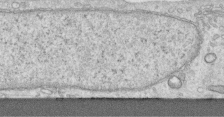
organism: Human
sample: Centriole in RPE cells